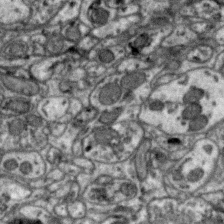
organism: Zebra finch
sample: Brain